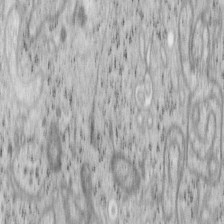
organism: Human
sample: HeLa cells